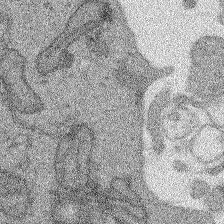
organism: Human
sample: HeLa cells